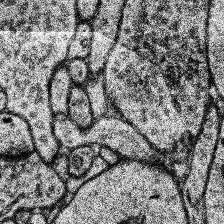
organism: Human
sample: Temporal Lobe